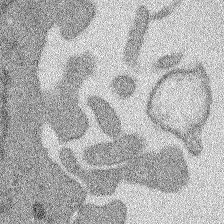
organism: Human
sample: HeLa cells